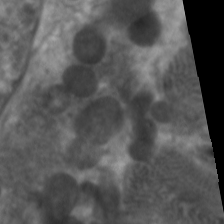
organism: C. elegans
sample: Pharynx